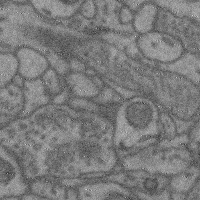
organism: Mouse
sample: Cerebral cortex